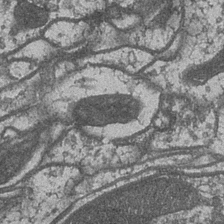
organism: Drosophila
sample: Optic medulla